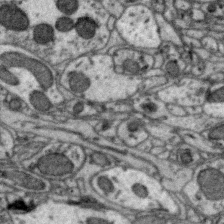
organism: Zebra finch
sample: Brain